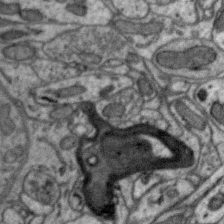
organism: Zebra finch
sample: Brain